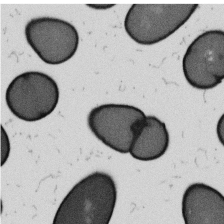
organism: B. subtilis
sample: Bacterial spore